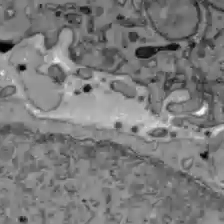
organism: C57BL Mouse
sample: Liver